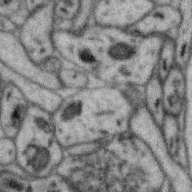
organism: Zebra finch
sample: Brain